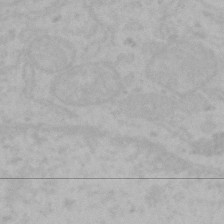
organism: Mouse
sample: Choroid plexus